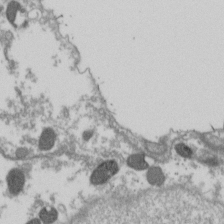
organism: Drosophila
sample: Cell division; meiosis; drosophila spermatocytes